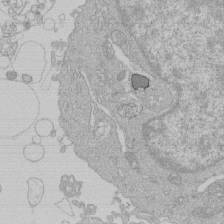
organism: Human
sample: Macrophage cells